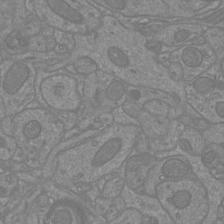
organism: Mouse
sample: Cortical neurons